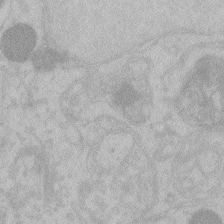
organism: Zebrafish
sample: Macrophage infected with Toxoplasma gondii